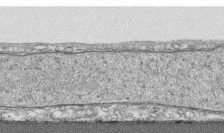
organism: Human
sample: CRL-1474